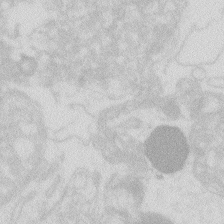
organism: Zebrafish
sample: Macrophage